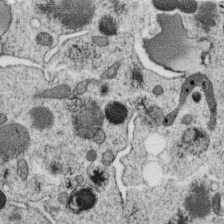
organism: C. elegans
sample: C. elegans oocyte; sperm cells